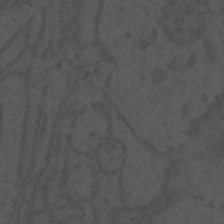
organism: Mouse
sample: Suprachiasmatic nucleus